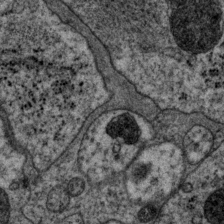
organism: P. pacificus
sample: Pharynx